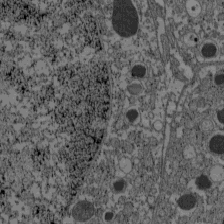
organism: C57BL Mouse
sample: Pancreatic islet